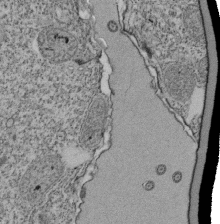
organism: Tetrahymena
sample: Cilia in tetrahymena